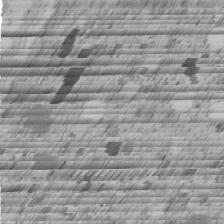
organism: C. elegans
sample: C. elegans embryo early stage